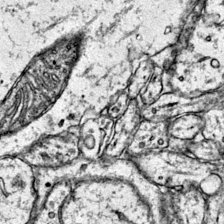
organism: Mouse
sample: Primary visual cortex